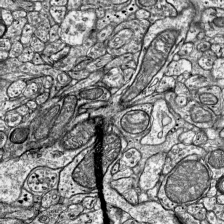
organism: Mouse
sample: Visual Cortex